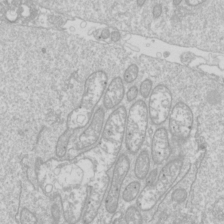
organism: Drosophila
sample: Cell division; meiosis; drosophila spermatocytes